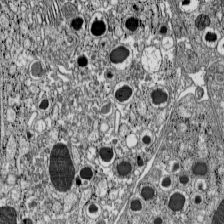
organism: C57BL Mouse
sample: Pancreatic islet